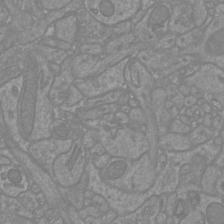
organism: Mouse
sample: Cortical neurons